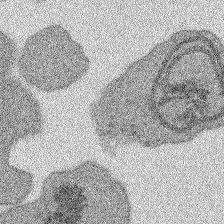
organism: Human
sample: HeLa cells